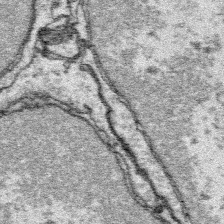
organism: Platynereis dumerilii